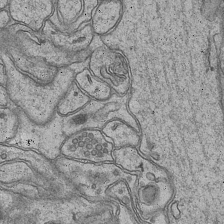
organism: Mouse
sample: CA1 Hippocampus